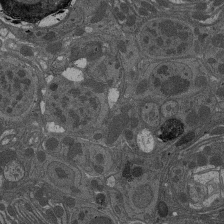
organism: Drosophila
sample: Antenna